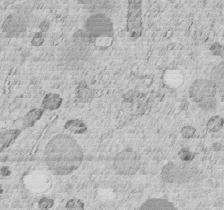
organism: C. elegans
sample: C. elegans embryo early stage